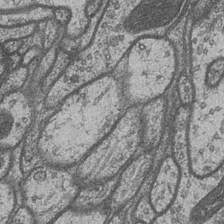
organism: Drosophila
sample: Optic medulla